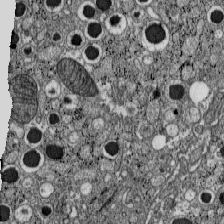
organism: C57BL Mouse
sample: Pancreatic islet